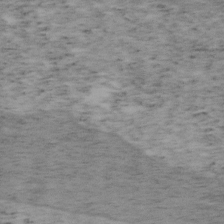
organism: Mouse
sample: OT-I killer T cells with ID8 ovarian cancer cells